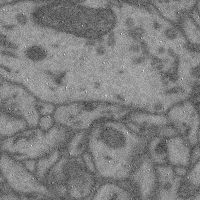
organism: Mouse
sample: Cerebral cortex